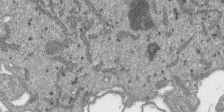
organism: Human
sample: Lung epithelial cells infected with SARS-CoV-2